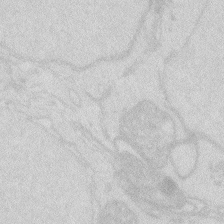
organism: Zebrafish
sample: Macrophage